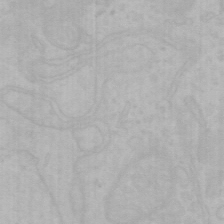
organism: Mouse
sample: Choroid plexus